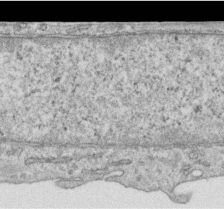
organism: Human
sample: Centriole in RPE cells